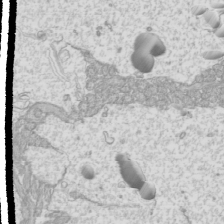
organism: Mouse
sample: Cilia; mouse epididymis